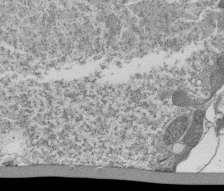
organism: Tetrahymena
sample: Cilia in tetrahymena